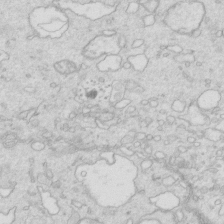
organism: Mouse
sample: Multiciliated cells